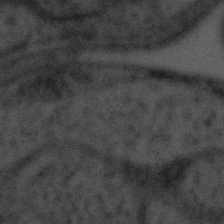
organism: Tuwongella immobilis